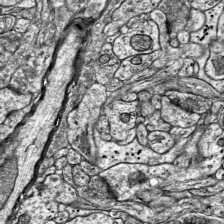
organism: Mouse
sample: Visual Cortex